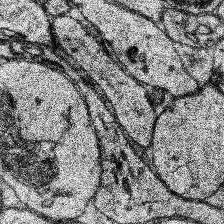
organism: Human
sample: Temporal Lobe